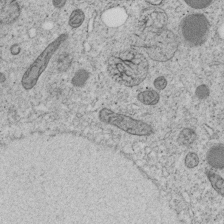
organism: C. elegans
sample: C. elegans embryo early stage